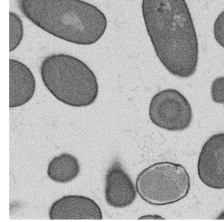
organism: B. subtilis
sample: Bacterial spore